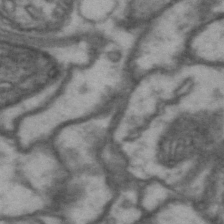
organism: Drosophila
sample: Brain